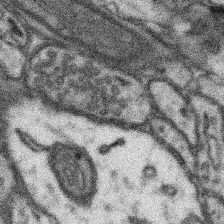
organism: Mouse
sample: Somatosensory cortex neuropil